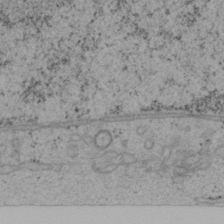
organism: Human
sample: HeLa cells